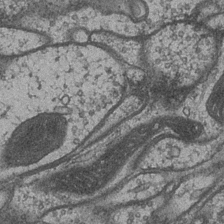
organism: Drosophila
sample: Optic medulla